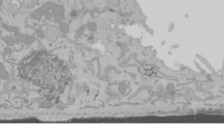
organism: Mouse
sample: Cancer cell death in ED-1 cells